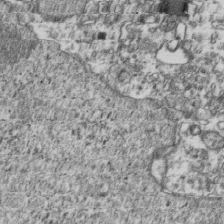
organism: Human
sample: Activated Jurkat CD4+ T cells